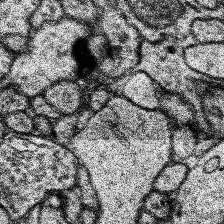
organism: Human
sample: Temporal Lobe